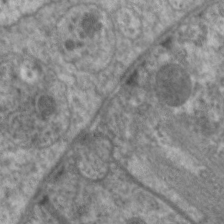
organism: C. elegans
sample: Pharynx